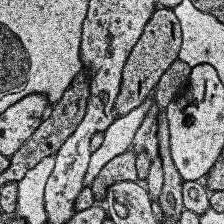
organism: Human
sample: Temporal Lobe